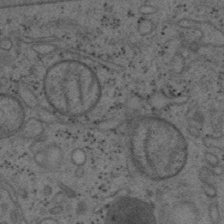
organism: Human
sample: HeLa cells